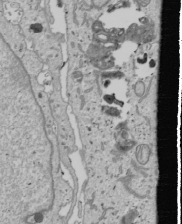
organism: Human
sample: Mitochondria in U2OS cells